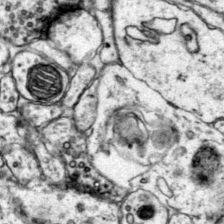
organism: Mouse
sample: Primary visual cortex